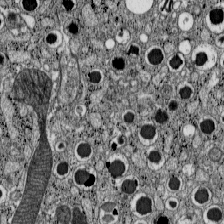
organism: C57BL Mouse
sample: Pancreatic islet